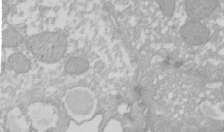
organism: Xenopus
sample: Cilia; centrioles in frog embryo cells